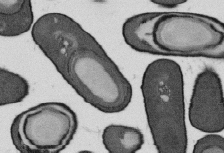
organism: B. subtilis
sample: Bacterial spore